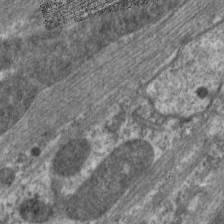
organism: C. elegans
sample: Pharynx